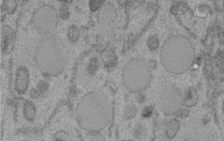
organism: C. elegans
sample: C. elegans embryo early stage